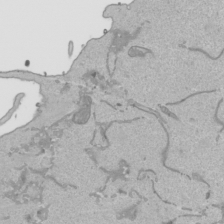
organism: Human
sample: Mitochondria in HCT116 cells